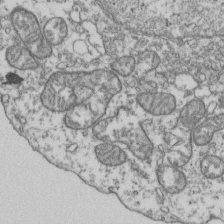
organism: Human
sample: Activated Jurkat CD4+ T cells